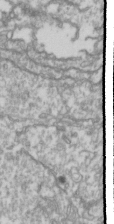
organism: Drosophila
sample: Cell division; meiosis; drosophila spermatocytes